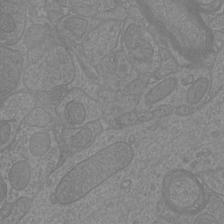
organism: Mouse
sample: Cortical neurons